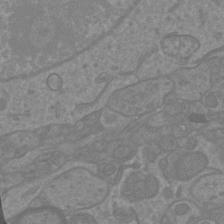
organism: Mouse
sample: Cortical neurons